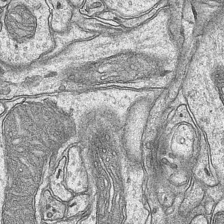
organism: Mouse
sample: CA1 Hippocampus